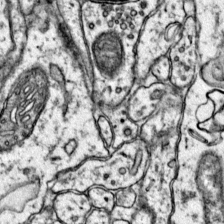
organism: Mouse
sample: Primary visual cortex